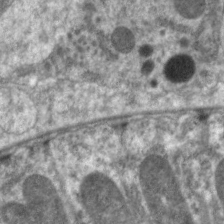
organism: C. elegans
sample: Pharynx